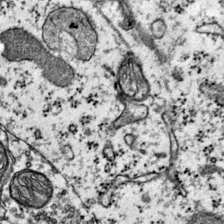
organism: Mouse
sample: Primary visual cortex